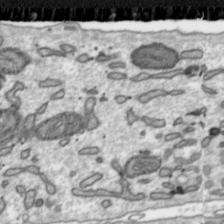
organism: Toxoplasma gondii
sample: Parasites in a vacuole inside a host cell